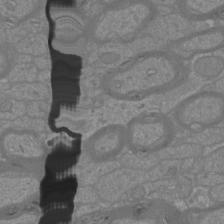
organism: Mouse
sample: Cortical neurons